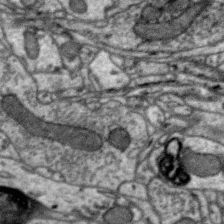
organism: Zebra finch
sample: Brain